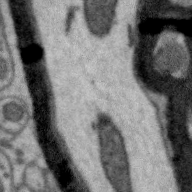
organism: Zebra finch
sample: Brain